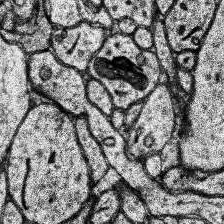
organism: Human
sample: Temporal Lobe